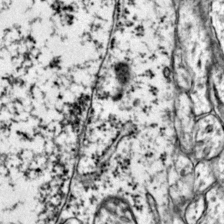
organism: Mouse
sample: Primary visual cortex